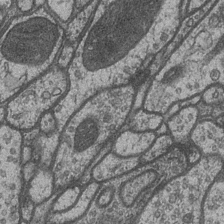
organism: Drosophila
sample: Optic medulla